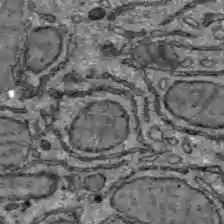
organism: C57BL Mouse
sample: Liver